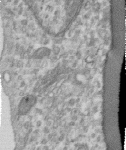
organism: Human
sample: Centriole in RPE cells